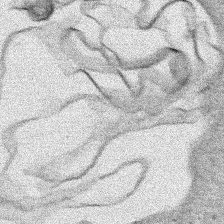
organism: Human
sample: Mitochondria in HCT116 cells